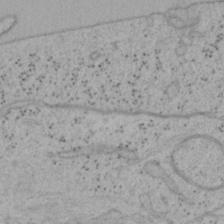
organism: Human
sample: HeLa cells